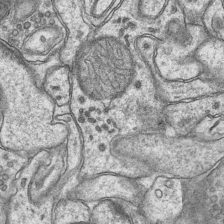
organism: Mouse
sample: CA1 Hippocampus